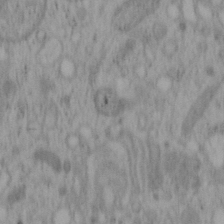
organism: Mouse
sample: OT-I killer T cells with ID8 ovarian cancer cells